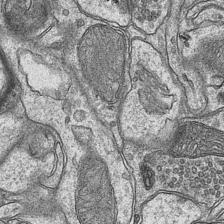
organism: Mouse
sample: CA1 Hippocampus